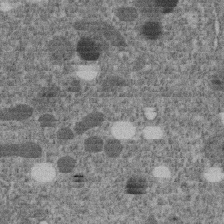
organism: C. elegans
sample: C. elegans embryo early stage